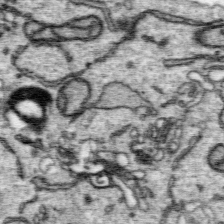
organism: Human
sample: HeLa cells